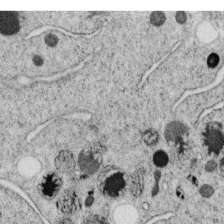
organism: C. elegans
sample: C. elegans oocyte; sperm cells